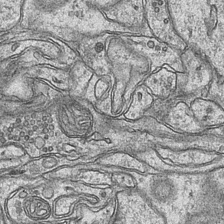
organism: Mouse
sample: CA1 Hippocampus